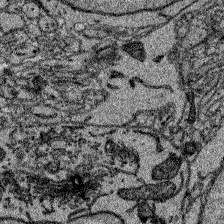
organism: Zebrafish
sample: Larval olfactory bulb